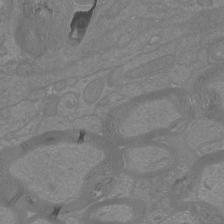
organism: Mouse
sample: Cortical neurons